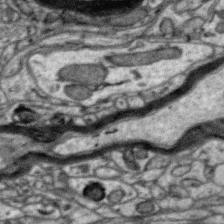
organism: Zebra finch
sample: Brain